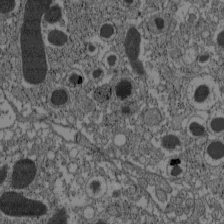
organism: C57BL Mouse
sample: Pancreatic islet